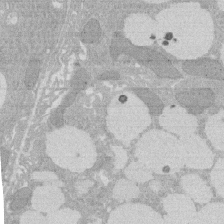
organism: Rat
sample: Salivary granule